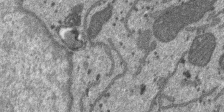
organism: Human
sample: Lung epithelial cells infected with SARS-CoV-2